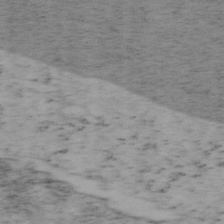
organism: Mouse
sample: OT-I killer T cells with ID8 ovarian cancer cells